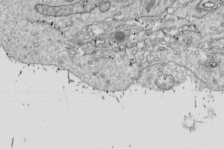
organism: Drosophila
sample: Cell division; meiosis; drosophila spermatocytes